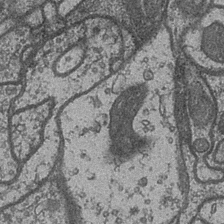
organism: Drosophila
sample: Optic medulla